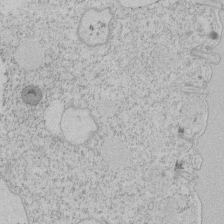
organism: Tetrahymena